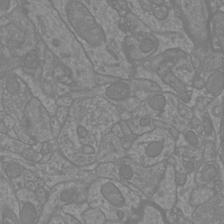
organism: Mouse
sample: Cortical neurons